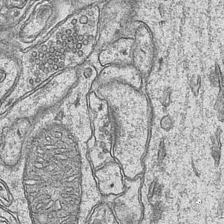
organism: Mouse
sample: CA1 Hippocampus